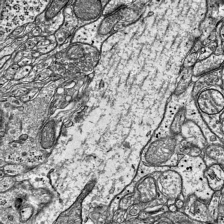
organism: Mouse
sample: Visual Cortex